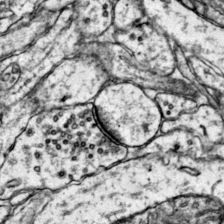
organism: Mouse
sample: Primary visual cortex